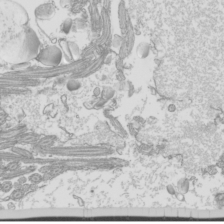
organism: Mouse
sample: Cilia; mouse epididymis